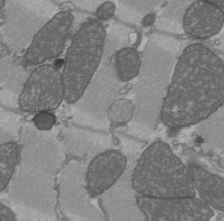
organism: C57BL Mouse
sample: Heart